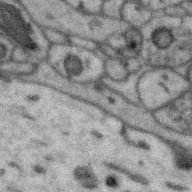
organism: Zebra finch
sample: Brain